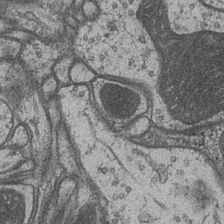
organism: Drosophila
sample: Optic medulla